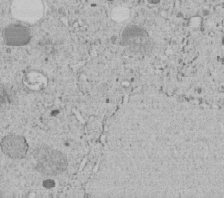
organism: C. elegans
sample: C. elegans embryo early stage